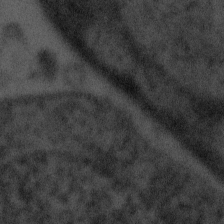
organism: Tuwongella immobilis